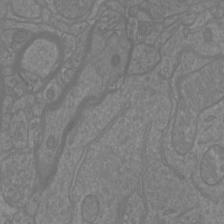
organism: Mouse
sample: Cortical neurons